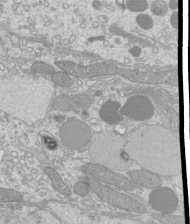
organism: Mouse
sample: Cilia; mouse epididymis